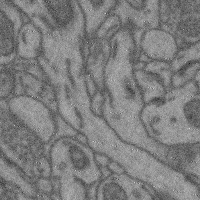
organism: Mouse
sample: Cerebral cortex